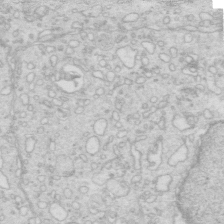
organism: Mouse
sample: Multiciliated cells